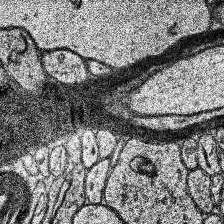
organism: Human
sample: Temporal Lobe